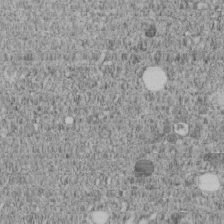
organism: C. elegans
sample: C. elegans embryo early stage